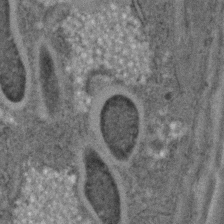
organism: C. elegans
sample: C. elegans embryo